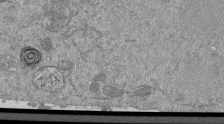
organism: Mouse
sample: ED-1 cell nuclei; centrioles